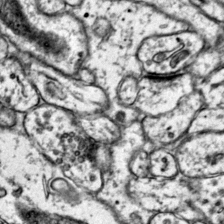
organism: Mouse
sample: Primary visual cortex